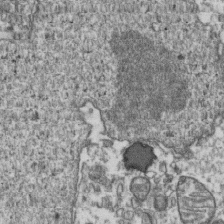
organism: Human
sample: Activated Jurkat CD4+ T cells